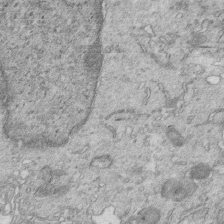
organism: Mouse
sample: Multiciliated cells